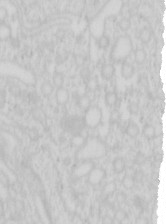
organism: Mouse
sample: Pancreas